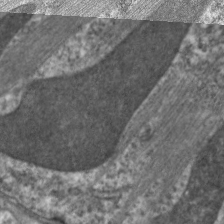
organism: C. elegans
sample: Pharynx